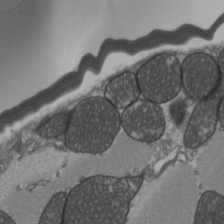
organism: C57BL Mouse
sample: Heart